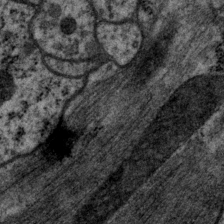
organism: P. pacificus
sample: Pharynx